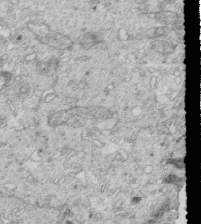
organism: Mouse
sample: Multiciliated cells